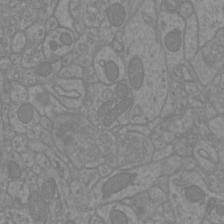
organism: Mouse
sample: Cortical neurons